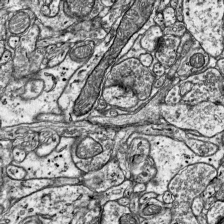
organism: Mouse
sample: Visual Cortex